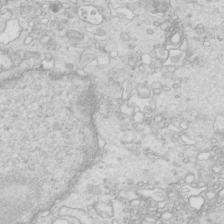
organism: Mouse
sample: Multiciliated cells